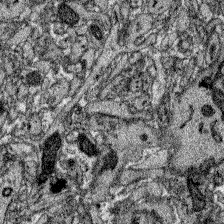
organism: Zebrafish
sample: Larval olfactory bulb